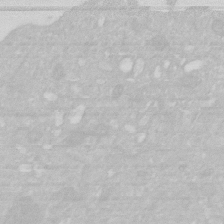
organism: Human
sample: HIV infected U937 cells